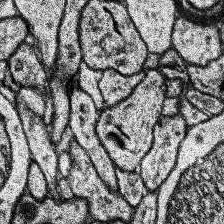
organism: Human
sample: Temporal Lobe